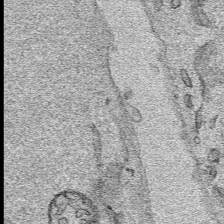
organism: Human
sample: Mitochondria in HCT116 cells